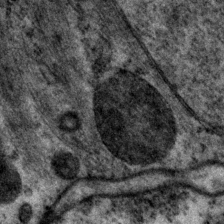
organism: P. pacificus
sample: Pharynx